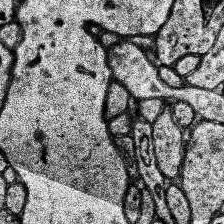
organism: Human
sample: Temporal Lobe